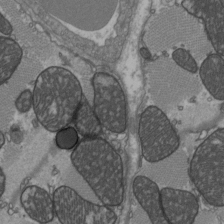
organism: C57BL Mouse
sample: Heart